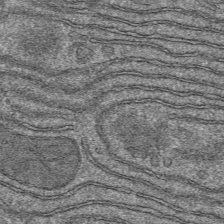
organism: Mouse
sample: Mouse hepatocytes